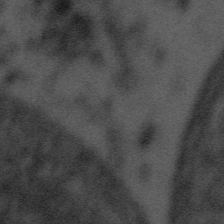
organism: Tuwongella immobilis